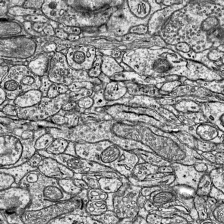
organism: Mouse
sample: Visual Cortex